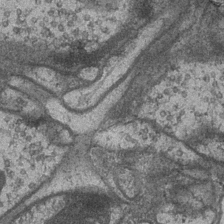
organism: Drosophila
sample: Optic medulla